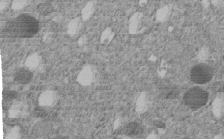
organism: C. elegans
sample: C. elegans embryo early stage